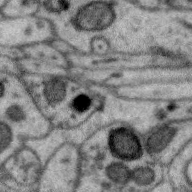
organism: Zebra finch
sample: Brain